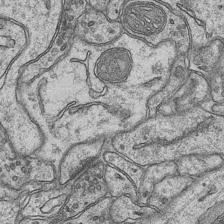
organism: Mouse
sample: CA1 Hippocampus